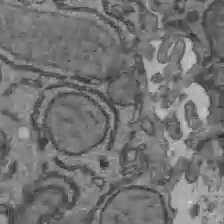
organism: C57BL Mouse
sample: Liver